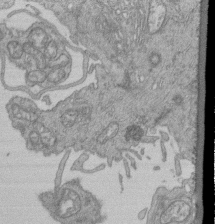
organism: Human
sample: Retinal organoid Rod and Cone cells